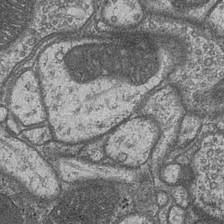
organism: Drosophila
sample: Optic medulla